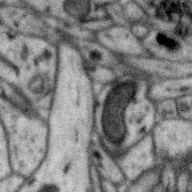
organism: Zebra finch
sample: Brain